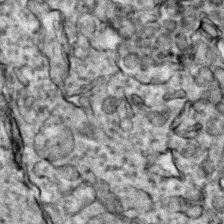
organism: Zebrafish